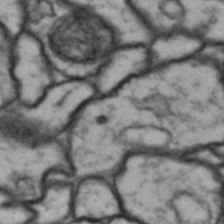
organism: Drosophila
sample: Brain